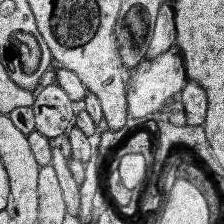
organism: Human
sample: Temporal Lobe